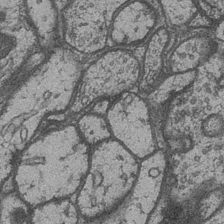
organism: Drosophila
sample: Optic medulla